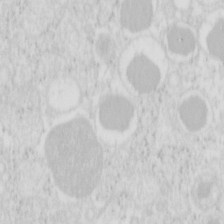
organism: Mouse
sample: Pancreas